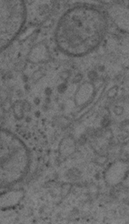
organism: Human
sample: HeLa cells